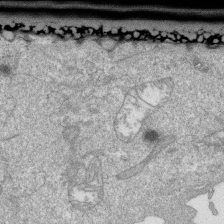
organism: Human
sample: HeLa cell HIV synapse